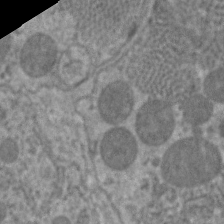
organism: C. elegans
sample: Pharynx